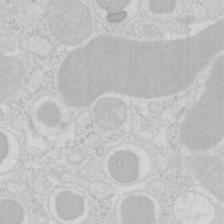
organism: Mouse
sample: Pancreas